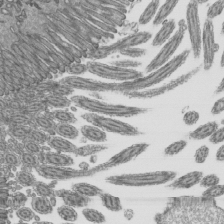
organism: Mouse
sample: Mouse epididymis efferent ductule cilia